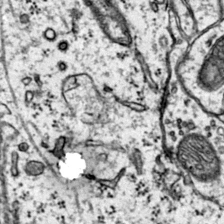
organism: Mouse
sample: Primary visual cortex